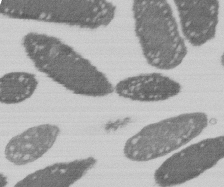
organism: E. coli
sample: Bacterial nucleoid